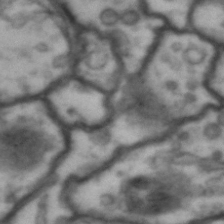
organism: Drosophila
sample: Brain